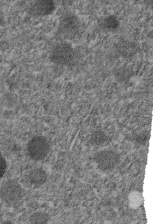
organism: C. elegans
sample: C. elegans embryo early stage